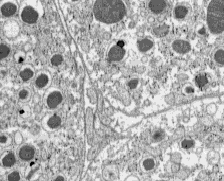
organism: C57BL Mouse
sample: Pancreatic islet